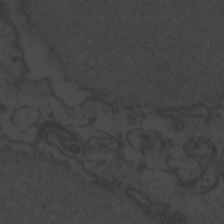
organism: Zebrafish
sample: Macrophage infected with Toxoplasma gondii